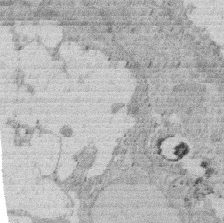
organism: Rat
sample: Salivary granule